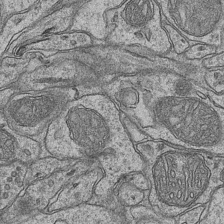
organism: Mouse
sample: CA1 Hippocampus